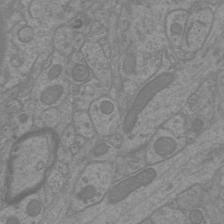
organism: Mouse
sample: Cortical neurons